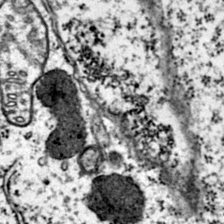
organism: Mouse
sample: Primary visual cortex